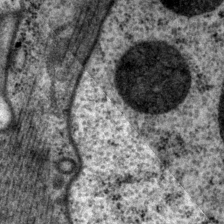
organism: P. pacificus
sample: Pharynx